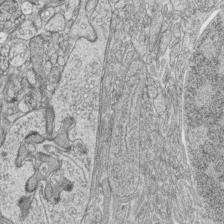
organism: Zebrafish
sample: synaptic ribbons in rod cells and cone cells